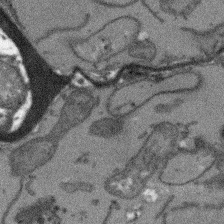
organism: Arabidopsis thaliana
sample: Root tip